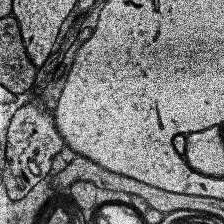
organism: Human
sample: Temporal Lobe